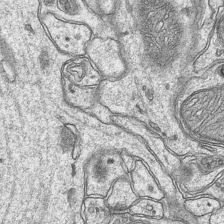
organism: Mouse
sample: CA1 Hippocampus